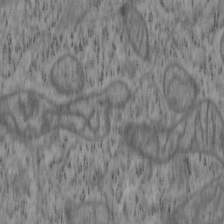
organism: Human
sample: HeLa cells